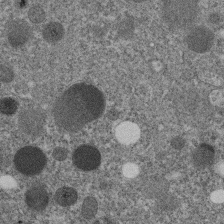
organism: C. elegans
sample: C. elegans embryo early stage